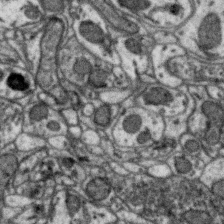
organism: Zebra finch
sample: Brain